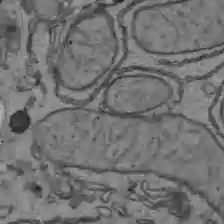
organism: C57BL Mouse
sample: Liver